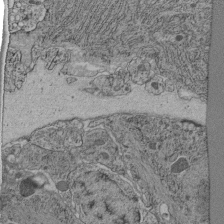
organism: C. elegans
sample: C. elegans pharynx